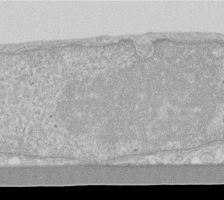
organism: Human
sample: Fibroblast cells